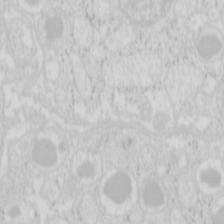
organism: Mouse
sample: Pancreas